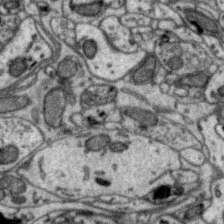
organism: Zebra finch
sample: Brain